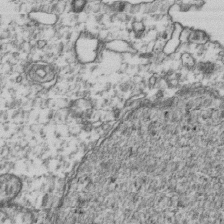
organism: Human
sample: Activated Jurkat CD4+ T cells